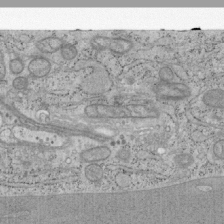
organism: Human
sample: HeLa cells